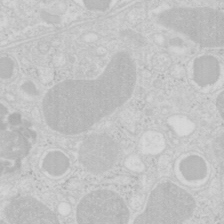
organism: Mouse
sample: Pancreas